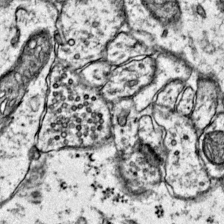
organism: Mouse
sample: Primary visual cortex